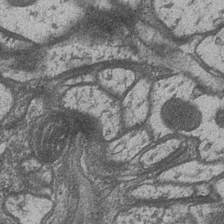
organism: Drosophila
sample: Optic medulla